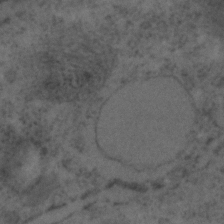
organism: C. elegans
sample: C. elegans embryo